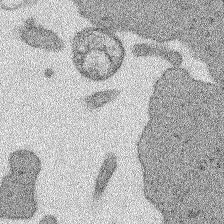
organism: Human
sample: HeLa cells